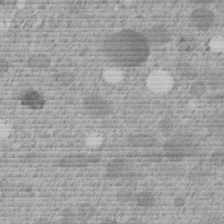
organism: C. elegans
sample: C. elegans embryo early stage